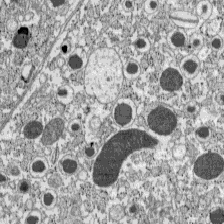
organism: C57BL Mouse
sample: Pancreatic islet